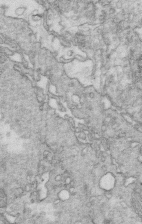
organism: Mouse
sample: Multiciliated cells